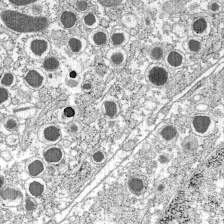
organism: C57BL Mouse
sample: Pancreatic islet